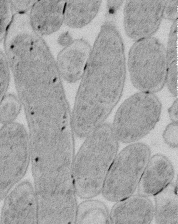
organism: E. coli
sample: Bacterial nucleoid